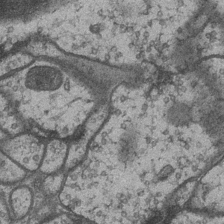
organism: Drosophila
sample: Optic medulla